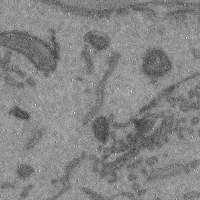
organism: Mouse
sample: Cerebral cortex